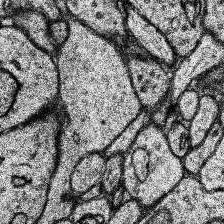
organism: Human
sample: Temporal Lobe